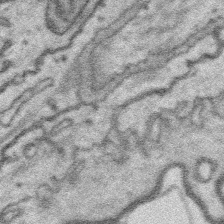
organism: Platynereis dumerilii